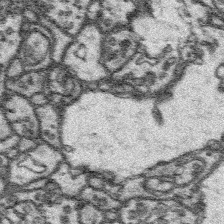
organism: Platynereis dumerilii